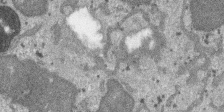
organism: Human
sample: Lung epithelial cells infected with SARS-CoV-2